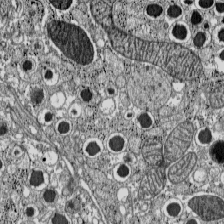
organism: C57BL Mouse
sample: Pancreatic islet